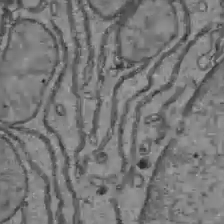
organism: C57BL Mouse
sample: Liver